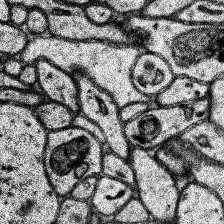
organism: Human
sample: Temporal Lobe